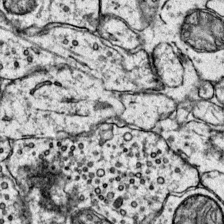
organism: Mouse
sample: Primary visual cortex